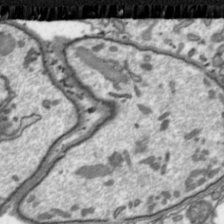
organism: Toxoplasma gondii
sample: Parasites in a vacuole inside a host cell